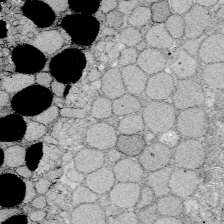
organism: Zebrafish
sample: Whole-Brain